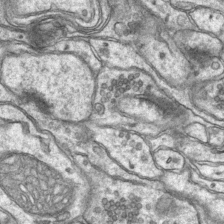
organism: Mouse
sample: CA1 Hippocampus